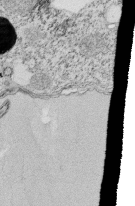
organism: Tetrahymena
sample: Cilia in tetrahymena